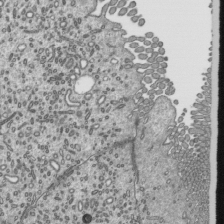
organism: Mouse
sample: Mouse epididymis efferent ductule cilia